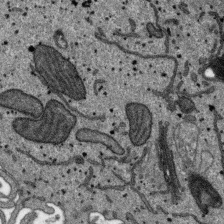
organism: Human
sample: Lung epithelial cells, uninfected (mock) control